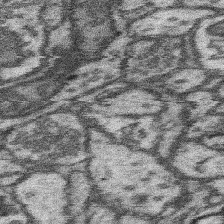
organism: Mouse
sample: Somatosensory cortex neuropil